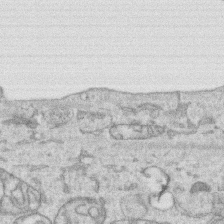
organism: Human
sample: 1205lu cells